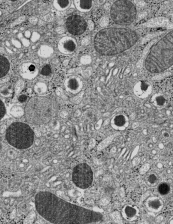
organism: C57BL Mouse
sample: Pancreatic islet